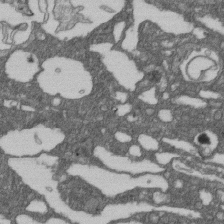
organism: Drosophila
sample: Nephrocyte